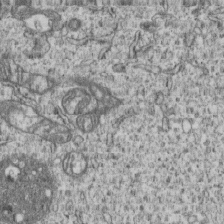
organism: Human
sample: MDA-MB-231 cells